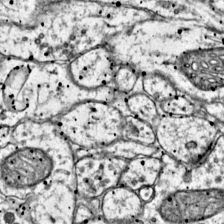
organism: Mouse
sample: Primary visual cortex